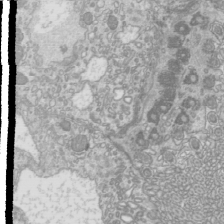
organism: Mouse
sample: Cilia; mouse epididymis